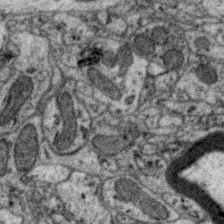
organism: Zebra finch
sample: Brain